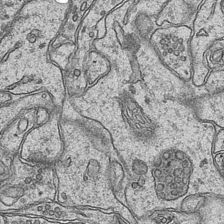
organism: Mouse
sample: CA1 Hippocampus